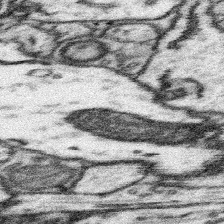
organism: Mouse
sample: Somatosensory cortex neuropil